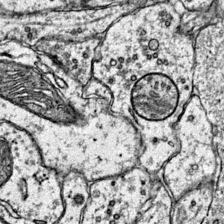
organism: Mouse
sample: Primary visual cortex